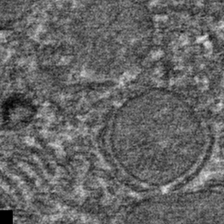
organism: Mouse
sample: Mouse hepatocytes